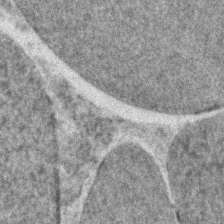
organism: Zebrafish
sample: Zebrafish embryo